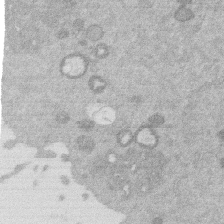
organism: Mouse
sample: Dividing mouse embryo 1 cell stage